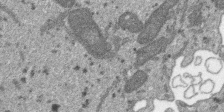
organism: Human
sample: Lung epithelial cells infected with SARS-CoV-2